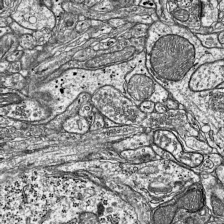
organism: Mouse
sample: Visual Cortex